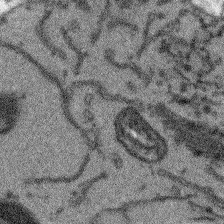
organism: Arabidopsis thaliana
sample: Root tip